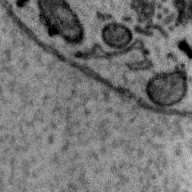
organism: Zebra finch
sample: Brain